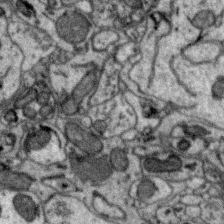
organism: Zebra finch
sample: Brain